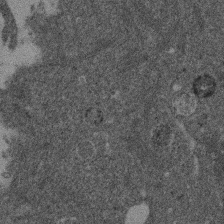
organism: Mouse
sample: Dividing mouse embryo 1 cell stage